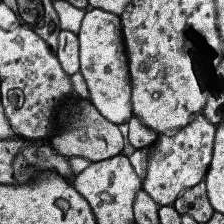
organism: Human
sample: Temporal Lobe